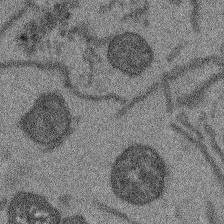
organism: Arabidopsis thaliana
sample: Root tip